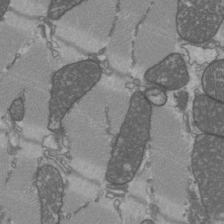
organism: C57BL Mouse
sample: Heart